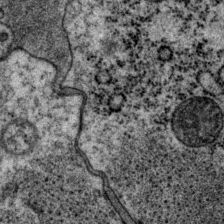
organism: P. pacificus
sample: Pharynx